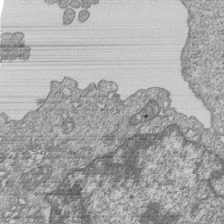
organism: Human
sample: MDA-MB-231 cells